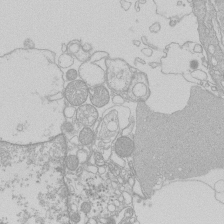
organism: Human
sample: Macrophage cells